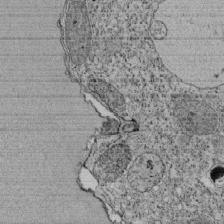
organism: Tetrahymena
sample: Cilia in tetrahymena